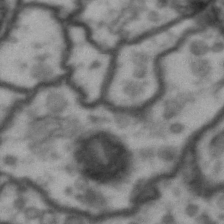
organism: Drosophila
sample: Brain